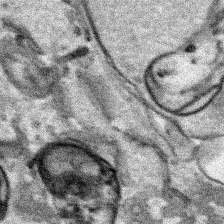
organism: Human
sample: Mitochondria in HCT116 cells